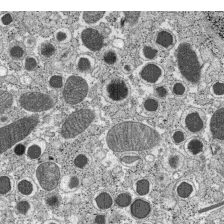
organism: C57BL Mouse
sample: Pancreatic islet